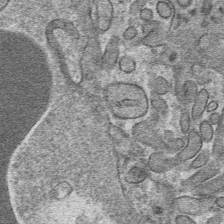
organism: Mouse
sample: Mouse hepatocytes